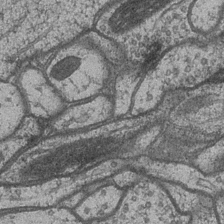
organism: Drosophila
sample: Optic medulla